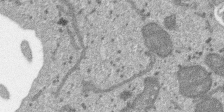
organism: Human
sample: Lung epithelial cells infected with SARS-CoV-2